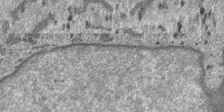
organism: Human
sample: Lung epithelial cells infected with SARS-CoV-2